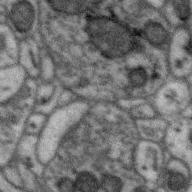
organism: Zebra finch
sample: Brain